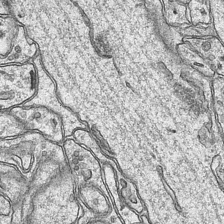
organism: Mouse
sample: CA1 Hippocampus